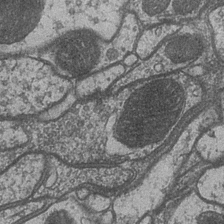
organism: Drosophila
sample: Optic medulla